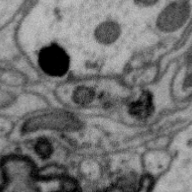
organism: Zebra finch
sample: Brain